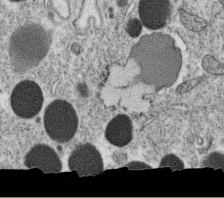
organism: C. elegans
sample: C. elegans oocyte; sperm cells